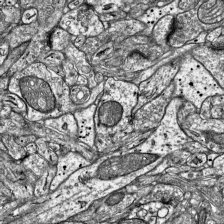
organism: Mouse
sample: Visual Cortex